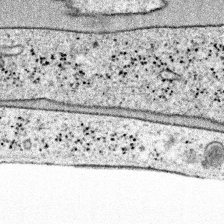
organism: Human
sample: HeLa cells